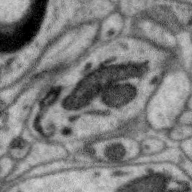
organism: Zebra finch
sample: Brain